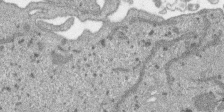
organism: Human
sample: Lung epithelial cells infected with SARS-CoV-2